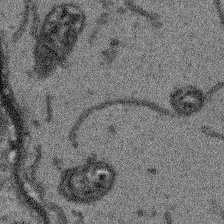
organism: Arabidopsis thaliana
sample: Root tip